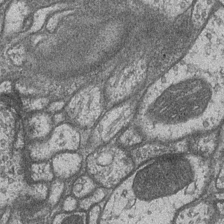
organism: Drosophila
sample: Optic medulla